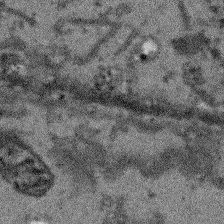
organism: Arabidopsis thaliana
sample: Root tip